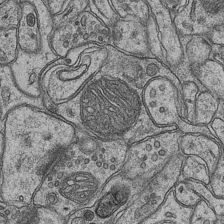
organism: Mouse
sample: CA1 Hippocampus